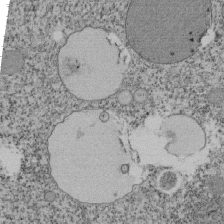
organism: Tetrahymena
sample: Cilia in tetrahymena